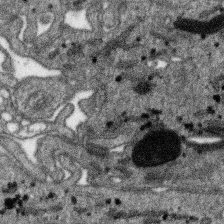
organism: Human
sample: Lung epithelial cells infected with SARS-CoV-2